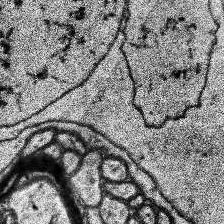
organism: Human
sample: Temporal Lobe